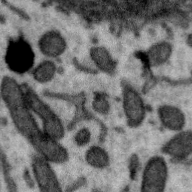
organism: Zebra finch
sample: Brain